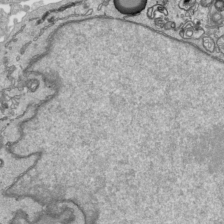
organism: Human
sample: Mitochondria in HCT116 cells